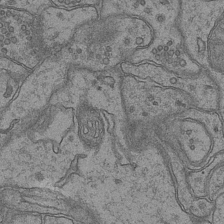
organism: Mouse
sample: CA1 Hippocampus